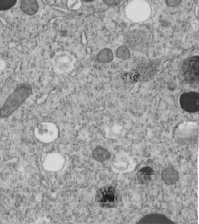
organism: C. elegans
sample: C. elegans embryo early stage